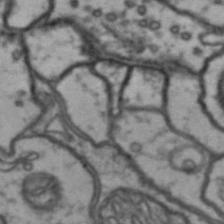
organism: Drosophila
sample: Brain